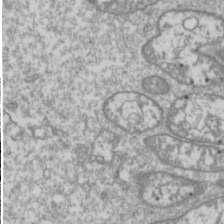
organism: Drosophila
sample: Cell division; meiosis; drosophila spermatocytes